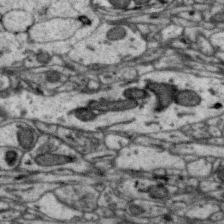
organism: Zebra finch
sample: Brain